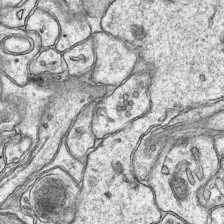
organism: Mouse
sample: CA1 Hippocampus